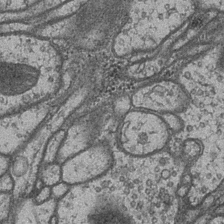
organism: Drosophila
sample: Optic medulla